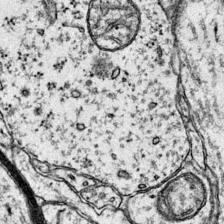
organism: Mouse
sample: Primary visual cortex